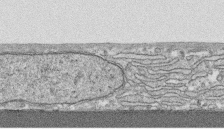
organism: Human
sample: CRL-1474